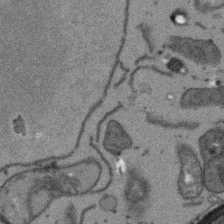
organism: Arabidopsis thaliana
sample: Root tip